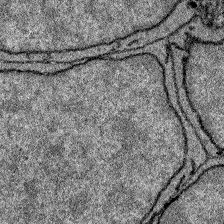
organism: Zebrafish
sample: Larval olfactory bulb